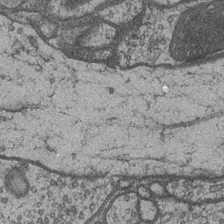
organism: Drosophila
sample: Optic medulla